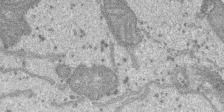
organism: Human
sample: Lung epithelial cells infected with SARS-CoV-2